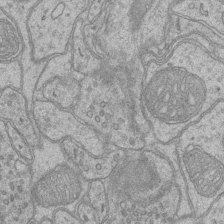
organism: Mouse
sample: CA1 Hippocampus